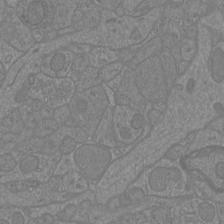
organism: Mouse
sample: Cortical neurons